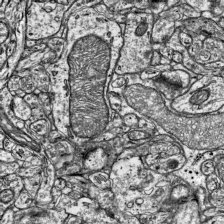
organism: Mouse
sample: Visual Cortex